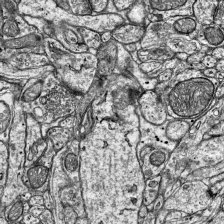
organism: Mouse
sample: Visual Cortex